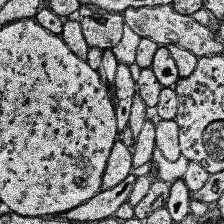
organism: Human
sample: Temporal Lobe